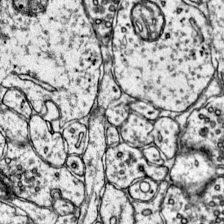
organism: Mouse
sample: Primary visual cortex